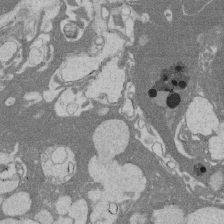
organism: Rat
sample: Salivary granule